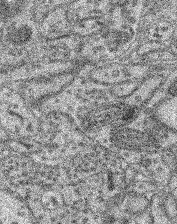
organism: Mouse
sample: Retina